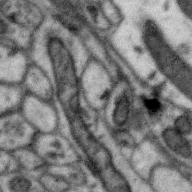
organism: Zebra finch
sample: Brain